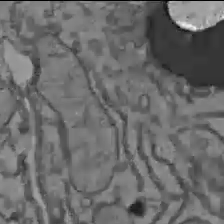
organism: C57BL Mouse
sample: Liver